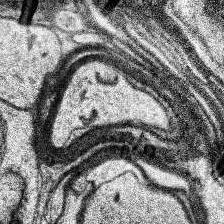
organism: Human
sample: Temporal Lobe